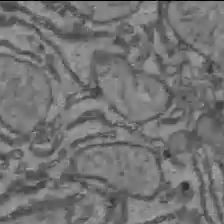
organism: C57BL Mouse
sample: Liver